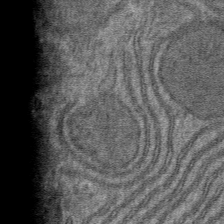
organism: Mouse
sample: Mouse hepatocytes